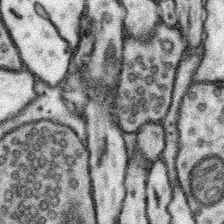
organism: Mouse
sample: Somatosensory cortex neuropil